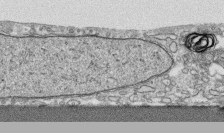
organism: Human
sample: CRL-1474